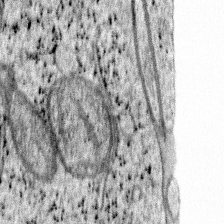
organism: Human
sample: HeLa cells